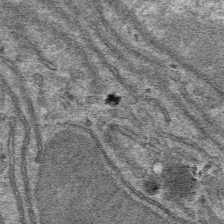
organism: Mouse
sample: Mouse hepatocytes